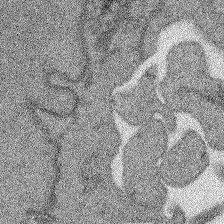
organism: Human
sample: HeLa cells